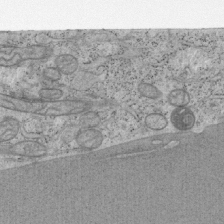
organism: Human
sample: HeLa cells